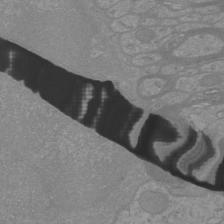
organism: Mouse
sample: Cortical neurons